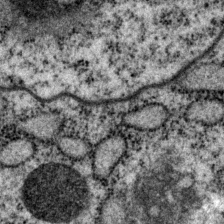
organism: P. pacificus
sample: Pharynx